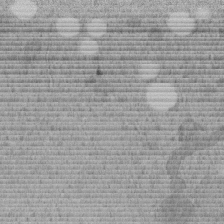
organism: C. elegans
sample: C. elegans embryo early stage